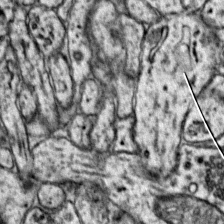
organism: Mouse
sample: Primary visual cortex